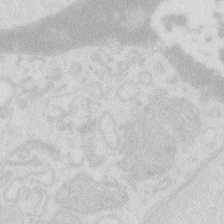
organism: Zebrafish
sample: Macrophage